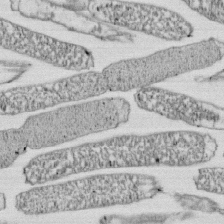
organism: E. coli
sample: Bacterial nucleoid